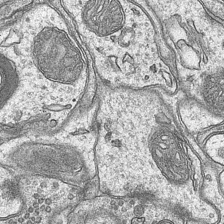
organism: Mouse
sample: CA1 Hippocampus